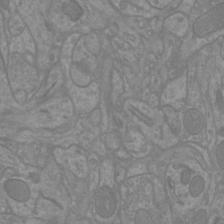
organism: Mouse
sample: Cortical neurons